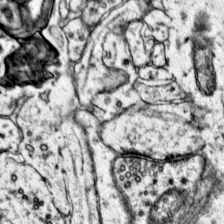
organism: Mouse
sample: Primary visual cortex